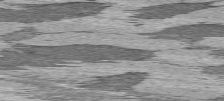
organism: C57BL Mouse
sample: Heart